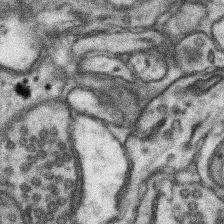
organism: Mouse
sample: Somatosensory cortex neuropil